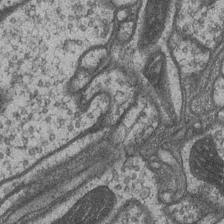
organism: Drosophila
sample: Optic medulla